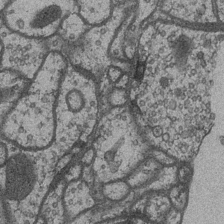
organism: Drosophila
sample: Optic medulla